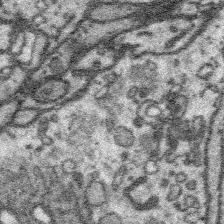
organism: Platynereis dumerilii